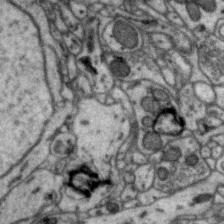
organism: Zebra finch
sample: Brain